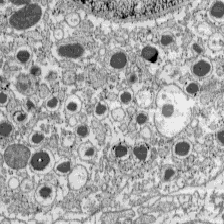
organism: C57BL Mouse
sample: Pancreatic islet